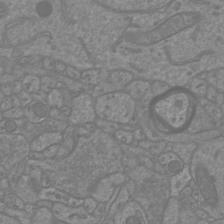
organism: Mouse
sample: Cortical neurons